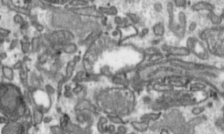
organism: Toxoplasma gondii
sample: Parasites in a vacuole inside a host cell